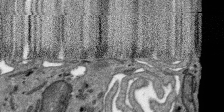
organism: Human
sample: Lung epithelial cells, uninfected (mock) control